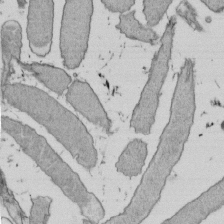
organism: E. coli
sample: Bacterial nucleoid